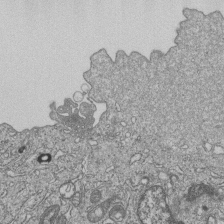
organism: Human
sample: MDA-MB-231 cells